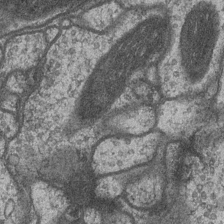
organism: Drosophila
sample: Optic medulla